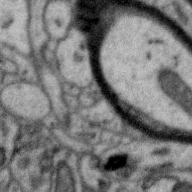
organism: Zebra finch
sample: Brain